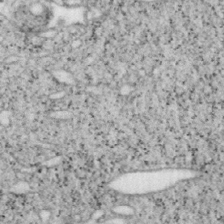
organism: Mouse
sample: OT-I killer T cells with ID8 ovarian cancer cells